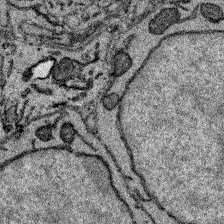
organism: Zebrafish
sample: Larval olfactory bulb